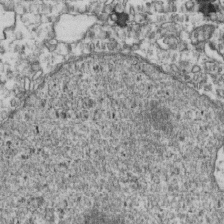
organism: Human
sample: Activated Jurkat CD4+ T cells